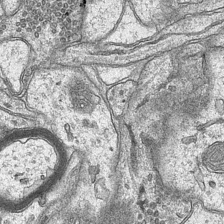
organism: Mouse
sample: CA1 Hippocampus